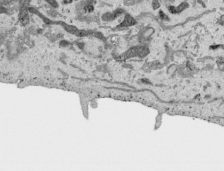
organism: Human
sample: Mitochondria in HCT116 cells